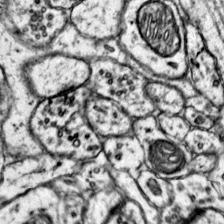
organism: Mouse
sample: Primary visual cortex